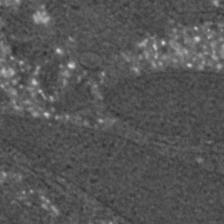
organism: C. elegans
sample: C. elegans embryo